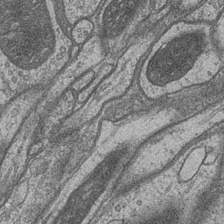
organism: Drosophila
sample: Optic medulla